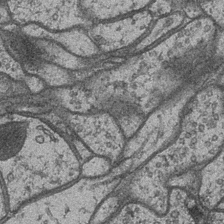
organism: Drosophila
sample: Optic medulla